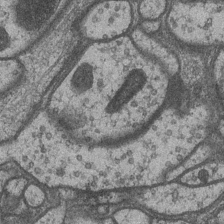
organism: Drosophila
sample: Optic medulla